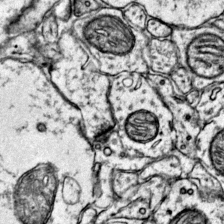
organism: Mouse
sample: Primary visual cortex